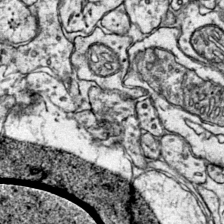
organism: Mouse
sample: Primary visual cortex